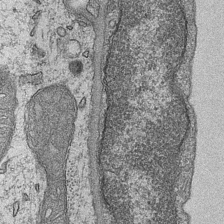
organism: Mouse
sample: CA1 Hippocampus